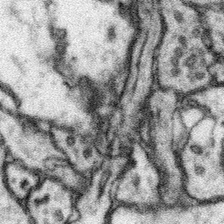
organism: Mouse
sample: Somatosensory cortex neuropil